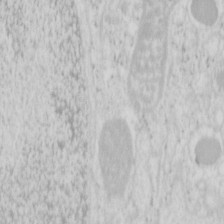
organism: Mouse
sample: Pancreas